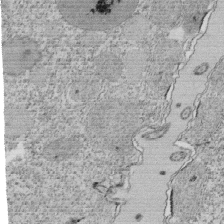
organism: Tetrahymena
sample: Cilia in tetrahymena